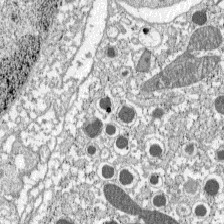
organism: C57BL Mouse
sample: Pancreatic islet